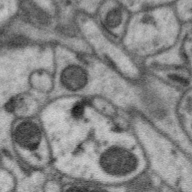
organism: Zebra finch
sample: Brain